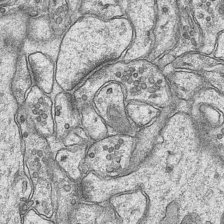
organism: Mouse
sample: CA1 Hippocampus